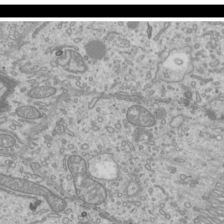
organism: Mouse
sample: Cilia; mouse epididymis